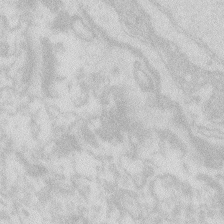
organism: Zebrafish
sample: Macrophage